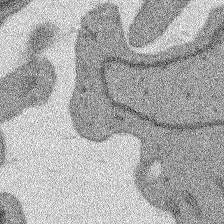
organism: Human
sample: HeLa cells